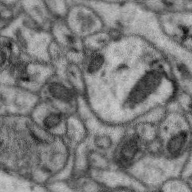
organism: Zebra finch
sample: Brain